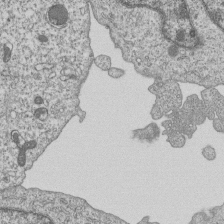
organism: Human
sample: MDA-MB-231 cells